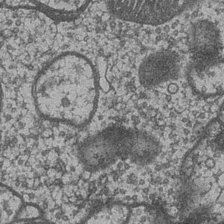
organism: Drosophila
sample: Optic medulla